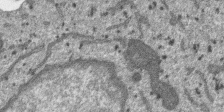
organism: Human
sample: Lung epithelial cells infected with SARS-CoV-2